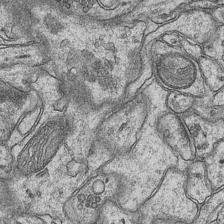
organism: Mouse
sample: CA1 Hippocampus